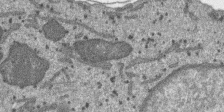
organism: Human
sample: Lung epithelial cells infected with SARS-CoV-2